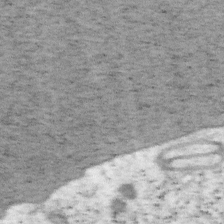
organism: Mouse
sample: OT-I killer T cells with ID8 ovarian cancer cells